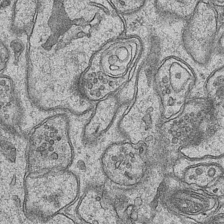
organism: Mouse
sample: CA1 Hippocampus